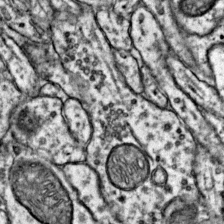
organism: Mouse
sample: Primary visual cortex